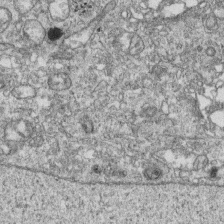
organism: Human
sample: HeLa cell HIV synapse